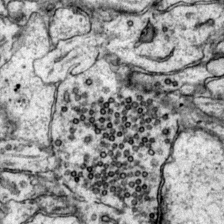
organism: Mouse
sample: Primary visual cortex